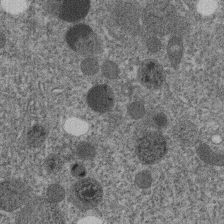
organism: C. elegans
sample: C. elegans embryo early stage